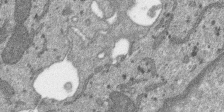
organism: Human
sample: Lung epithelial cells infected with SARS-CoV-2